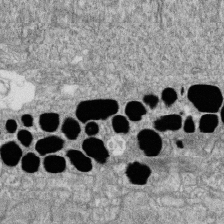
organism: Zebrafish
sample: Cilia; retinal pigment epithelium